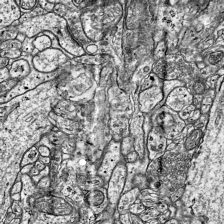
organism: Mouse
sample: Visual Cortex